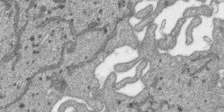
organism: Human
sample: Lung epithelial cells infected with SARS-CoV-2